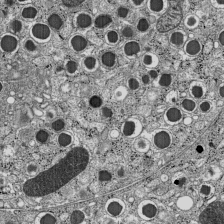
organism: C57BL Mouse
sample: Pancreatic islet